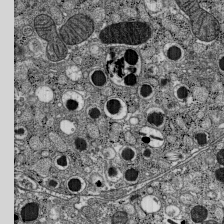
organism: C57BL Mouse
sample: Pancreatic islet